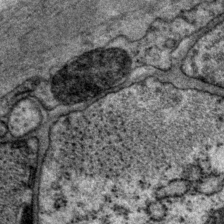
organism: P. pacificus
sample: Pharynx